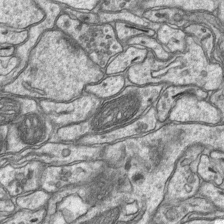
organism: Mouse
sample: CA1 Hippocampus